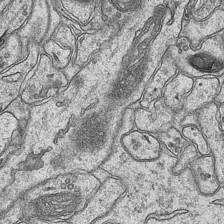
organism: Mouse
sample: CA1 Hippocampus